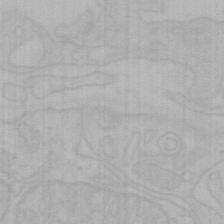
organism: Mouse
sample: Choroid plexus